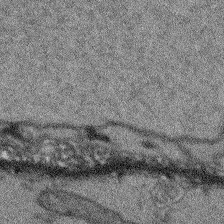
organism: Arabidopsis thaliana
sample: Root tip